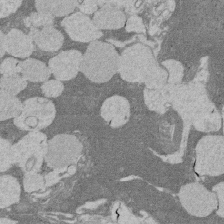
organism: Rat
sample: Salivary granule